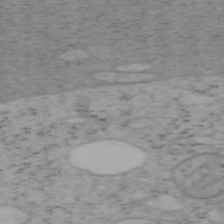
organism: Mouse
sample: OT-I killer T cells with ID8 ovarian cancer cells